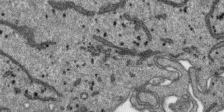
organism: Human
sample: Lung epithelial cells, uninfected (mock) control